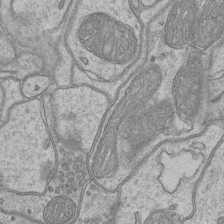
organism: Mouse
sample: CA1 Hippocampus